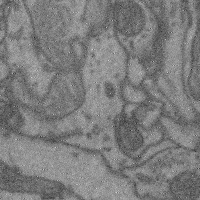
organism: Mouse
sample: Cerebral cortex